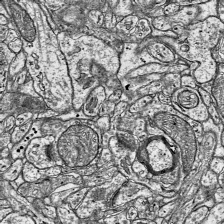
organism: Mouse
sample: Visual Cortex